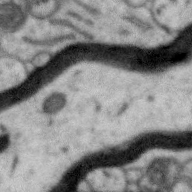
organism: Zebra finch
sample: Brain